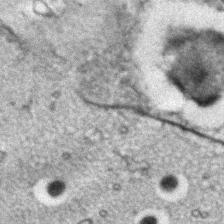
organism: C. elegans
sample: C. elegans embryo